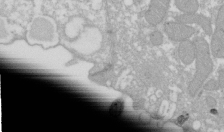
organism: Xenopus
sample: Cilia; centrioles in frog embryo cells